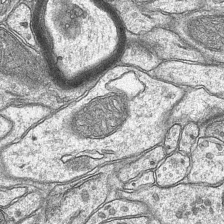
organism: Mouse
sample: CA1 Hippocampus